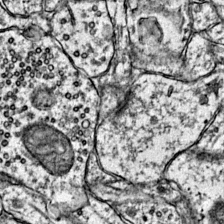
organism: Mouse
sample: Primary visual cortex